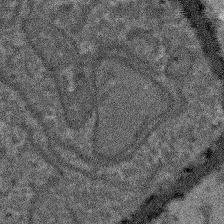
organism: Arabidopsis thaliana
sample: Root tip